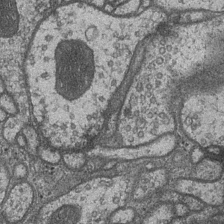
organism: Drosophila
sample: Optic medulla